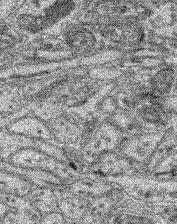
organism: Mouse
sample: Retina